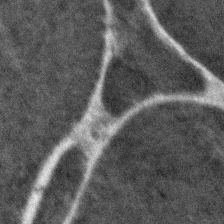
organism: Zebrafish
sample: Zebrafish embryo